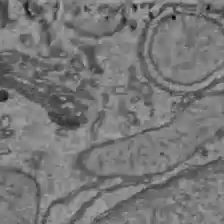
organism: C57BL Mouse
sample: Liver